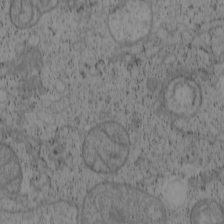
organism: African green monkey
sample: COS-7 cells